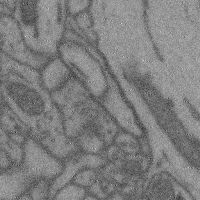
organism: Mouse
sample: Cerebral cortex